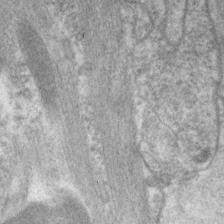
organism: C. elegans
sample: Pharynx